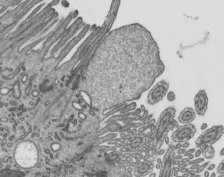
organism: Mouse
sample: Mouse epididymis efferent ductule cilia